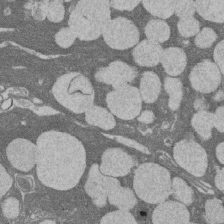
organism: Rat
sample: Salivary granule